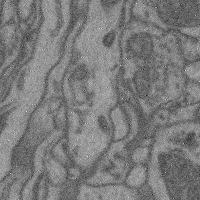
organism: Mouse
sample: Cerebral cortex